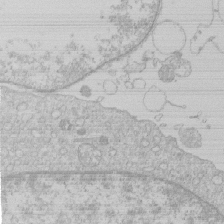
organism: Human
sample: Macrophage cells